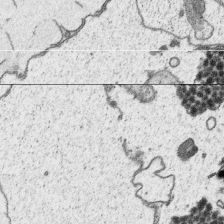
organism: Platynereis dumerilii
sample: Parapodia